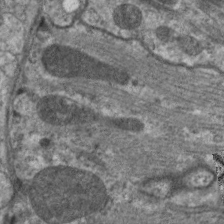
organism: C. elegans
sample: Pharynx